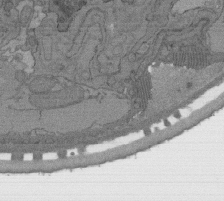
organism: C. elegans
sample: AFD neurons C. elegans